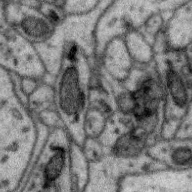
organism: Zebra finch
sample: Brain